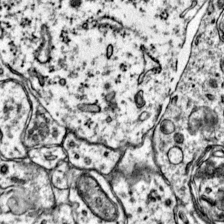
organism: Mouse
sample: Primary visual cortex